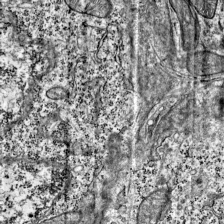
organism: Mouse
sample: Visual Cortex